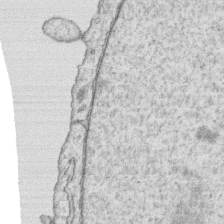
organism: Human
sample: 1205lu cells